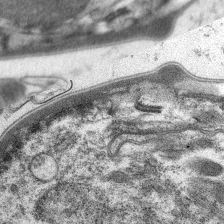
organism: C. elegans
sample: Pharynx